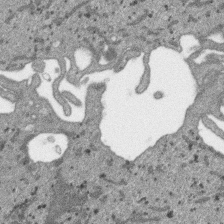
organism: Human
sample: Lung epithelial cells infected with SARS-CoV-2